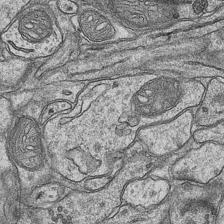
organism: Mouse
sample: CA1 Hippocampus